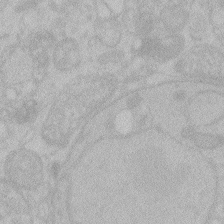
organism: Zebrafish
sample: Macrophage infected with Toxoplasma gondii